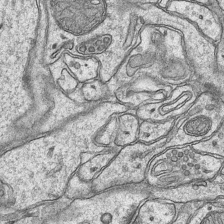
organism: Mouse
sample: CA1 Hippocampus